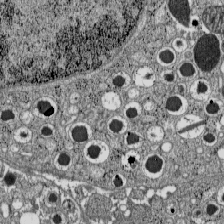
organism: C57BL Mouse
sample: Pancreatic islet